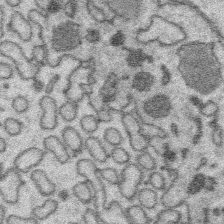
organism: Platynereis dumerilii